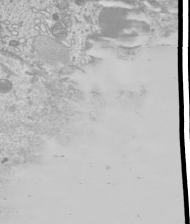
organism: Mouse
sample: Cilia; mouse epididymis